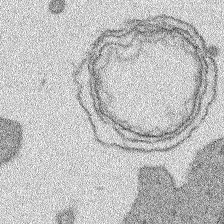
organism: Human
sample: HeLa cells